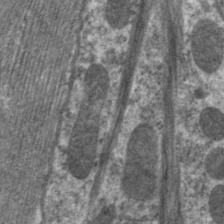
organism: C. elegans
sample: Pharynx